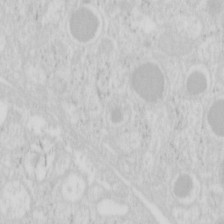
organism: Mouse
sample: Pancreas